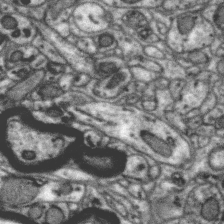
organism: Zebra finch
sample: Brain